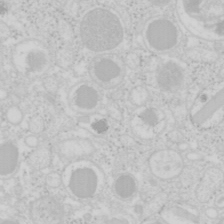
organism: Mouse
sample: Pancreas